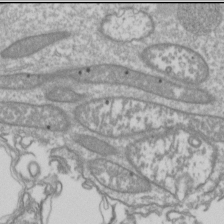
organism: Drosophila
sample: Cell division; meiosis; drosophila spermatocytes